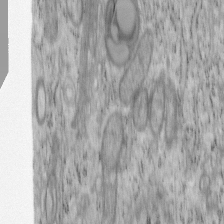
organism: Human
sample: HeLa cells